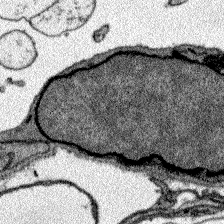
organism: Zebrafish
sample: Larval olfactory bulb